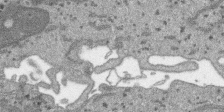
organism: Human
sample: Lung epithelial cells infected with SARS-CoV-2